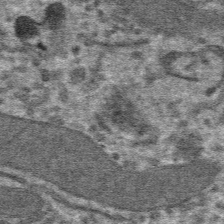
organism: Mouse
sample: Mouse hepatocytes